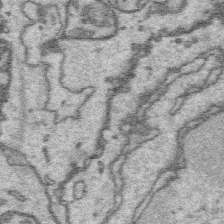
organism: Platynereis dumerilii